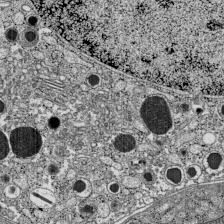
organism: C57BL Mouse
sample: Pancreatic islet